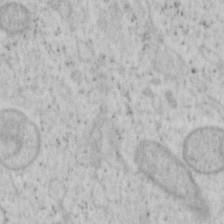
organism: Human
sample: HeLa cells